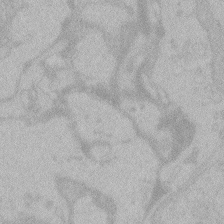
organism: Zebrafish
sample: Macrophage infected with Toxoplasma gondii